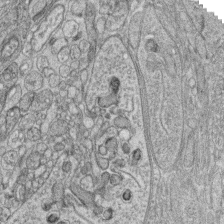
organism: Zebrafish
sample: synaptic ribbons in rod cells and cone cells